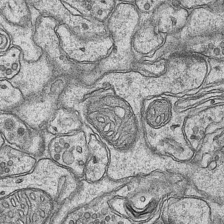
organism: Mouse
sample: CA1 Hippocampus